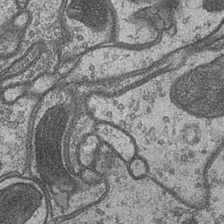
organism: Drosophila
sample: Optic medulla